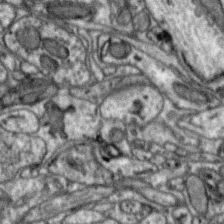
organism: Zebra finch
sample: Brain